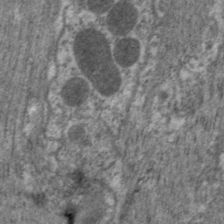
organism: C. elegans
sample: Pharynx